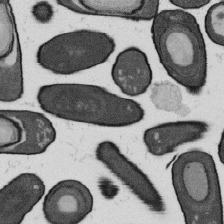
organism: B. subtilis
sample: Bacterial spore